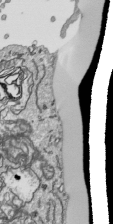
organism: Human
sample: Mitochondria in HCT116 cells